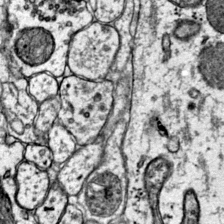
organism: Mouse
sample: Primary visual cortex